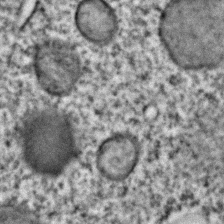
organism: C. elegans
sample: C. elegans embryo